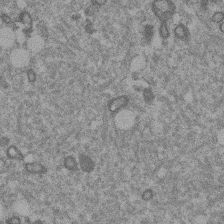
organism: Mouse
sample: Dividing mouse embryo 1 cell stage